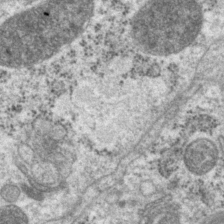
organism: P. pacificus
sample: Pharynx